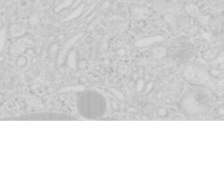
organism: Mouse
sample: Pancreas